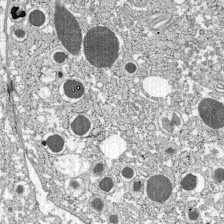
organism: C57BL Mouse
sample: Pancreatic islet